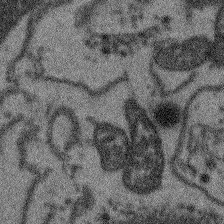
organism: Arabidopsis thaliana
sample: Root tip